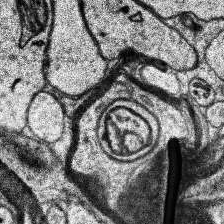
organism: Human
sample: Temporal Lobe